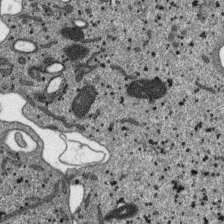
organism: Human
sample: Lung epithelial cells infected with SARS-CoV-2